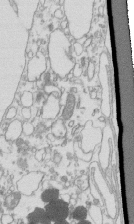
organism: Mouse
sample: Macrophages